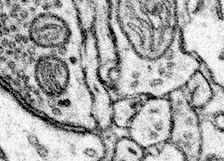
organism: Mouse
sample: Somatosensory cortex neuropil